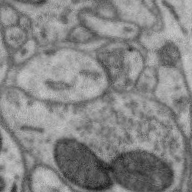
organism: Zebra finch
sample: Brain